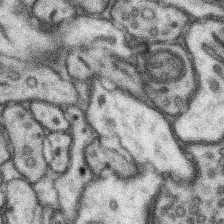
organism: Mouse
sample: Somatosensory cortex neuropil